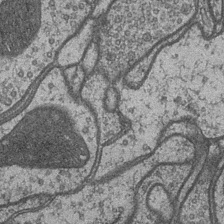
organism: Drosophila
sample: Optic medulla